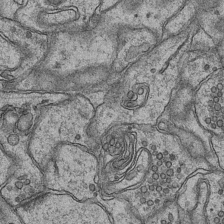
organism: Mouse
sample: CA1 Hippocampus